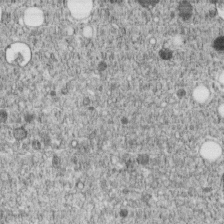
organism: C. elegans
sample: C. elegans embryo early stage